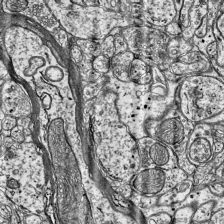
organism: Mouse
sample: Visual Cortex